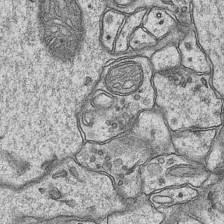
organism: Mouse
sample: CA1 Hippocampus